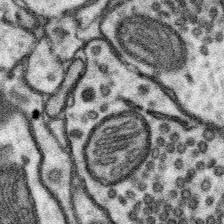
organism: Mouse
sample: Somatosensory cortex neuropil